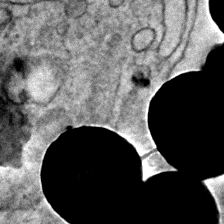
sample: Trachea